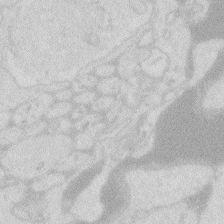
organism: Zebrafish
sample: Macrophage